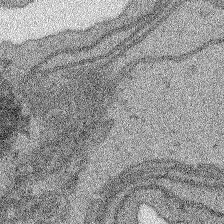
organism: Human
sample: HeLa cells